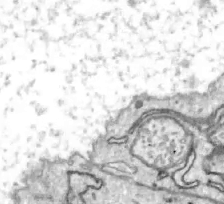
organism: Zebrafish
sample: Actinotrichia fibers